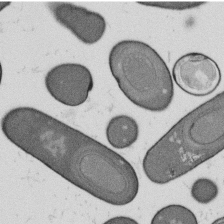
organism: B. subtilis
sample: Bacterial spore